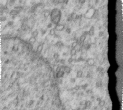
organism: Human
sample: Centriole in RPE cells